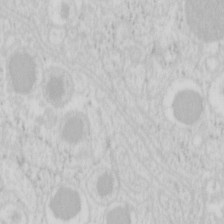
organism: Mouse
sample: Pancreas